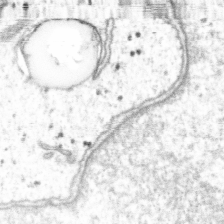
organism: Human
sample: HeLa cells